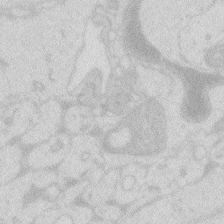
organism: Zebrafish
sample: Macrophage